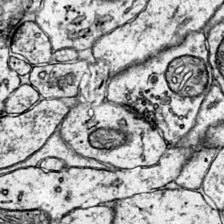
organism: Mouse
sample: Primary visual cortex